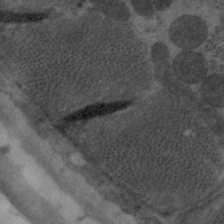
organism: C. elegans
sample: Pharynx